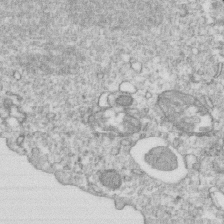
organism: Mouse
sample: Activated OT-1 CD8+ T cells